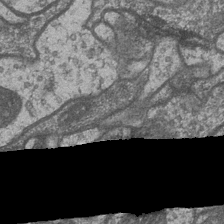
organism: Drosophila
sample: Optic medulla